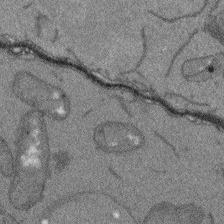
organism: Arabidopsis thaliana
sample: Root tip